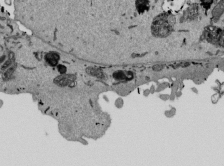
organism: Mouse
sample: ED-1 cell nuclei; centrioles